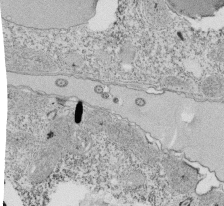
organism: Tetrahymena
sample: Cilia in tetrahymena